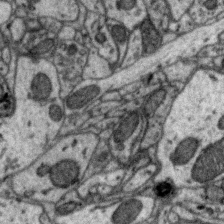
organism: Zebra finch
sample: Brain